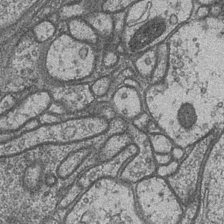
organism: Drosophila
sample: Optic medulla